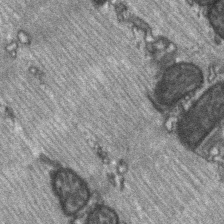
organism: C57BL Mouse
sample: Soleus